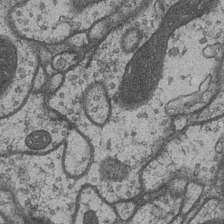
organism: Drosophila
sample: Optic medulla